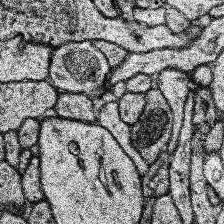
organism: Human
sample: Temporal Lobe